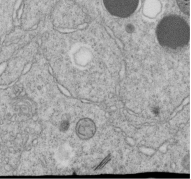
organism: C. elegans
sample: C. elegans embryo early stage